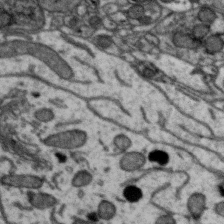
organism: Zebra finch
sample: Brain